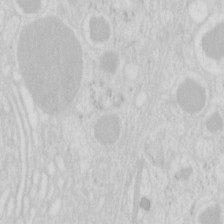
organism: Mouse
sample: Pancreas